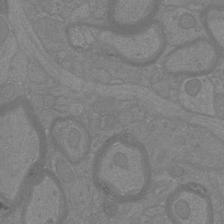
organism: Mouse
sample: Cortical neurons